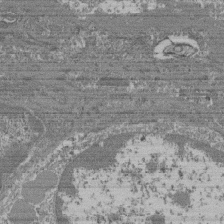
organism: Mouse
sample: Glomerulus